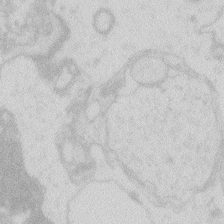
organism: Zebrafish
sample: Macrophage